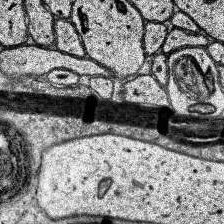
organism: Human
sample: Temporal Lobe